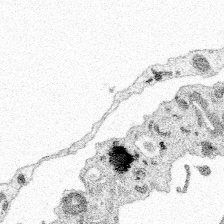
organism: Spongilla lacustris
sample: Multiple